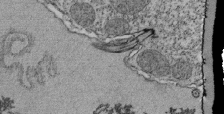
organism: Tetrahymena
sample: Cilia in tetrahymena